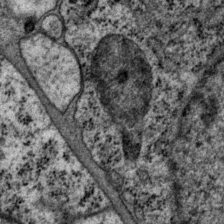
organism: P. pacificus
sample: Pharynx